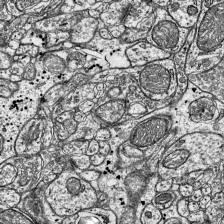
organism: Mouse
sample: Visual Cortex